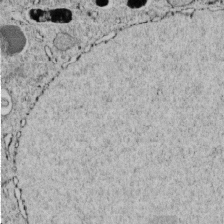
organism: C. elegans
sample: C. elegans embryo early stage